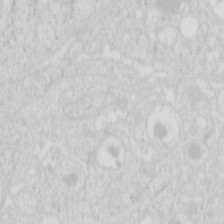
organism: Mouse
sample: Pancreas